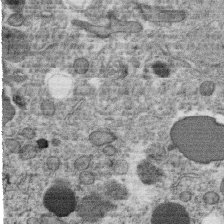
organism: C. elegans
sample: C. elegans oocyte; sperm cells